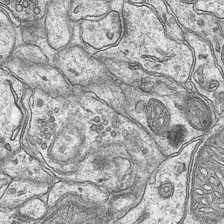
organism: Mouse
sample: CA1 Hippocampus